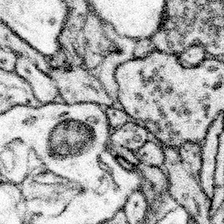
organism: Mouse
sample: Somatosensory cortex neuropil